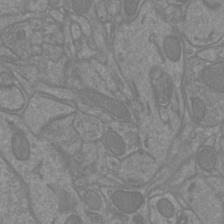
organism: Mouse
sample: Cortical neurons